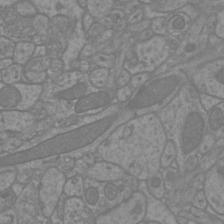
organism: Mouse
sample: Cortical neurons